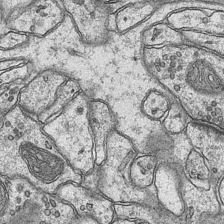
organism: Mouse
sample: CA1 Hippocampus